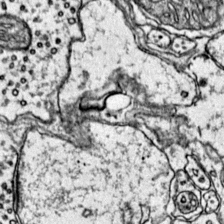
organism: Mouse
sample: Primary visual cortex